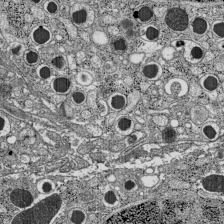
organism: C57BL Mouse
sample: Pancreatic islet